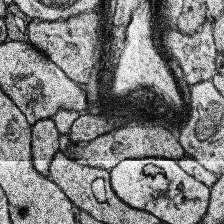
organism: Human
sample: Temporal Lobe